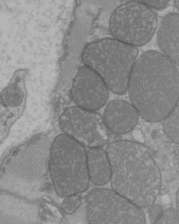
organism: C57BL Mouse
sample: Heart